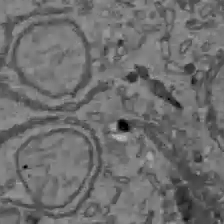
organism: C57BL Mouse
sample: Liver